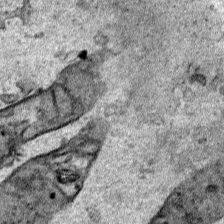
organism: Human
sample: Mitochondria in HCT116 cells